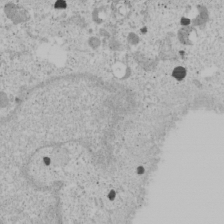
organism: Human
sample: Mitochondria in U2OS cells